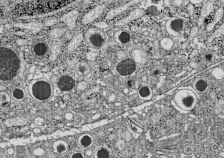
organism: C57BL Mouse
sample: Pancreatic islet